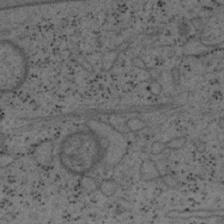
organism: Human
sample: HeLa cells